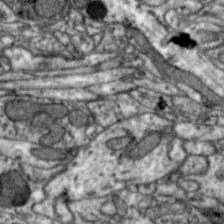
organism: Zebra finch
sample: Brain